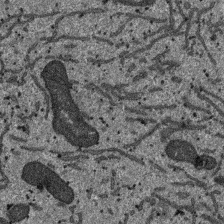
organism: Human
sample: Lung epithelial cells infected with SARS-CoV-2